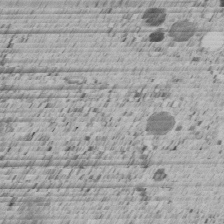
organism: C. elegans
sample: C. elegans embryo early stage